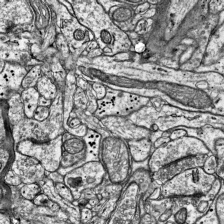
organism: Mouse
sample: Visual Cortex